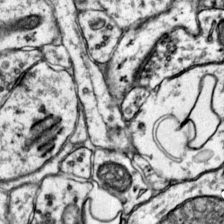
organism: Mouse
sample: Primary visual cortex